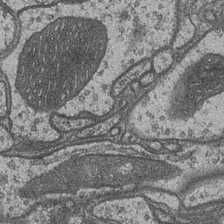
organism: Drosophila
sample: Optic medulla